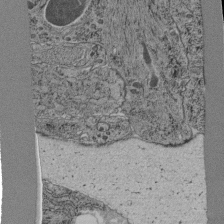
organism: C. elegans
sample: C. elegans pharynx